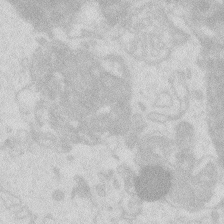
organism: Zebrafish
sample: Macrophage